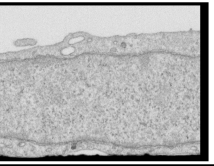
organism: Human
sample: Centriole in RPE cells